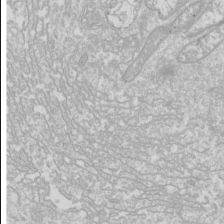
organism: Drosophila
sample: Cell division; meiosis; drosophila spermatocytes